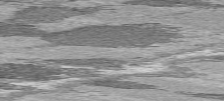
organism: C57BL Mouse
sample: Heart